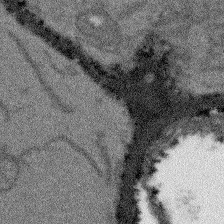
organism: Arabidopsis thaliana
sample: Root tip